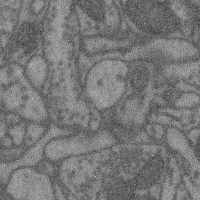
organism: Mouse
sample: Cerebral cortex